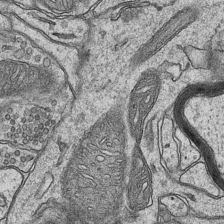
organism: Mouse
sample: CA1 Hippocampus